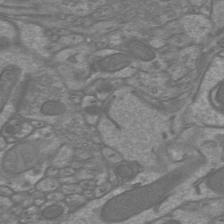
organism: Mouse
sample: Cortical neurons